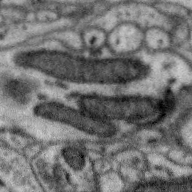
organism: Zebra finch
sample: Brain